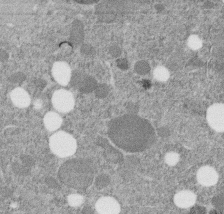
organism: C. elegans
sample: C. elegans embryo early stage